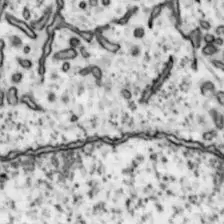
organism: Mouse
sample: Nucleus accumbens